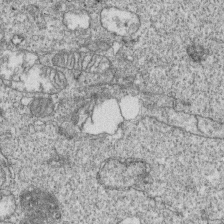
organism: Human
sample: HeLa cell HIV synapse